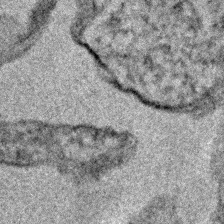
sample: Trachea